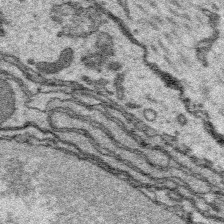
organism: Platynereis dumerilii